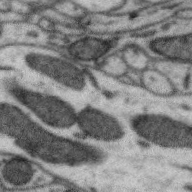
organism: Zebra finch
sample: Brain